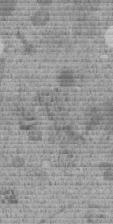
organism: C. elegans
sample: C. elegans embryo early stage